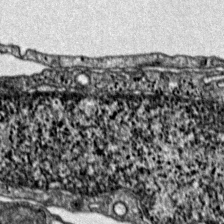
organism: Mouse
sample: Primary visual cortex